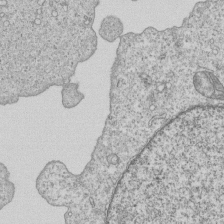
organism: Human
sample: MDA-MB-231 cells